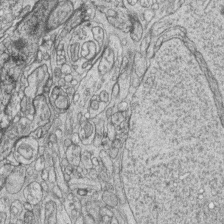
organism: Zebrafish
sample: synaptic ribbons in rod cells and cone cells